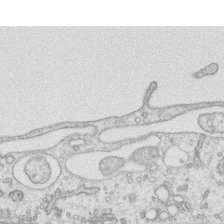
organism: Human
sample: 1205lu cells